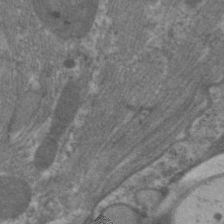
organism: C. elegans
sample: Pharynx